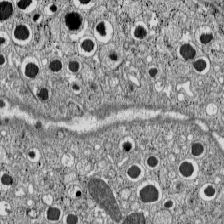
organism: C57BL Mouse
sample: Pancreatic islet